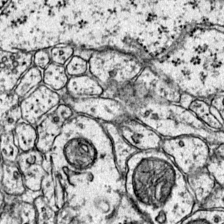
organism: Mouse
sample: Primary visual cortex